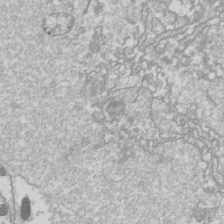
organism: Drosophila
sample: Cell division; meiosis; drosophila spermatocytes